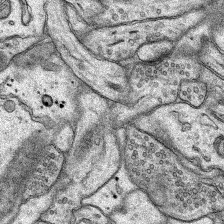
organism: Rat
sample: Hippocampus